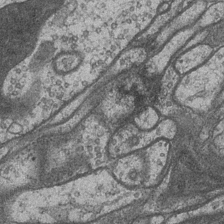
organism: Drosophila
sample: Optic medulla